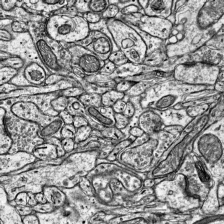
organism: Mouse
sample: Visual Cortex